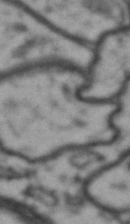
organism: Drosophila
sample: Brain